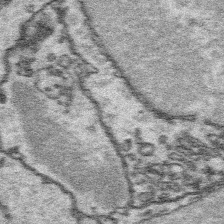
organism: Platynereis dumerilii